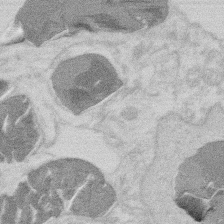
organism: Mouse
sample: T cell stromal cell synapse